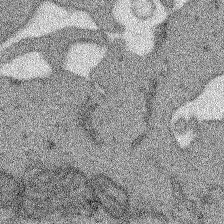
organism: Human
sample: HeLa cells